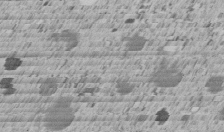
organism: C. elegans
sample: C. elegans embryo early stage